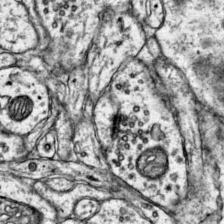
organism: Mouse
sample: Primary visual cortex